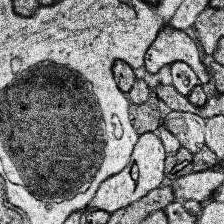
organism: Human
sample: Temporal Lobe